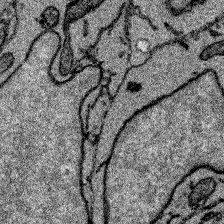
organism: Zebrafish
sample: Larval olfactory bulb